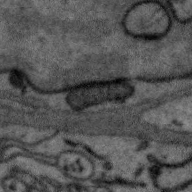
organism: Zebra finch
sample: Brain